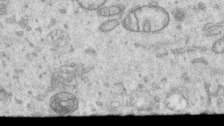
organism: Human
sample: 1205lu cells